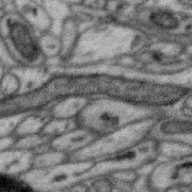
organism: Zebra finch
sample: Brain